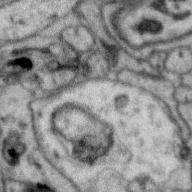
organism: Zebra finch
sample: Brain